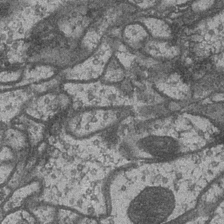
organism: Drosophila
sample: Optic medulla